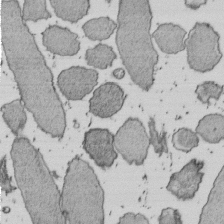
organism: E. coli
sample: Bacterial nucleoid